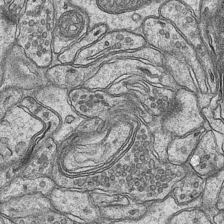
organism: Mouse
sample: CA1 Hippocampus